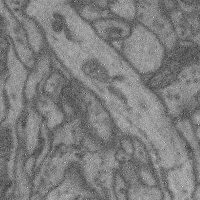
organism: Mouse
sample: Cerebral cortex